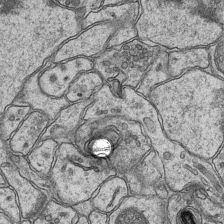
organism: Mouse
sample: CA1 Hippocampus